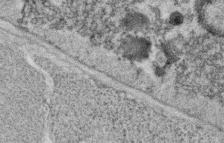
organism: C. elegans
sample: C. elegans oocyte; sperm cells